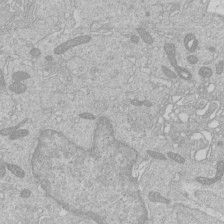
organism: Human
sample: Macrophage cells